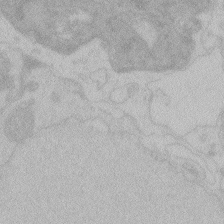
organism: Zebrafish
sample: Macrophage infected with Toxoplasma gondii